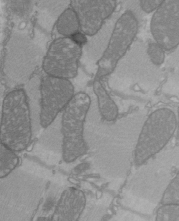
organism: C57BL Mouse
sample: Heart